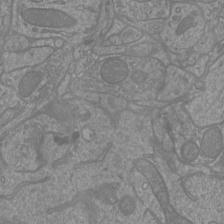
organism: Mouse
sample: Cortical neurons